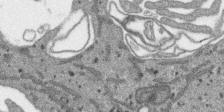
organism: Human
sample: Lung epithelial cells infected with SARS-CoV-2